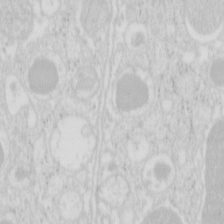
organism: Mouse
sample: Pancreas